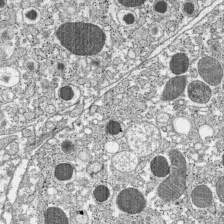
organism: C57BL Mouse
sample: Pancreatic islet